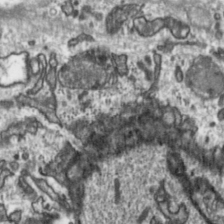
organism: Toxoplasma gondii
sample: Parasites in a vacuole inside a host cell